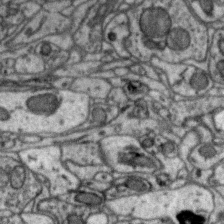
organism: Zebra finch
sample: Brain